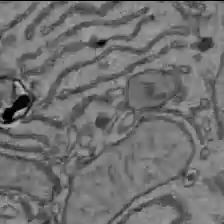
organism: C57BL Mouse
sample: Liver